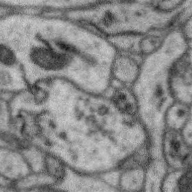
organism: Zebra finch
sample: Brain